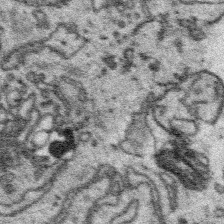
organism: Platynereis dumerilii